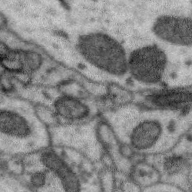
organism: Zebra finch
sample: Brain